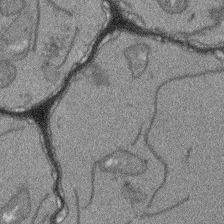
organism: Arabidopsis thaliana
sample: Root tip